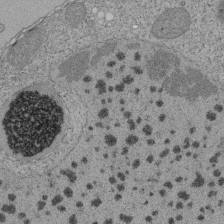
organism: Tetrahymena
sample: Cilia in tetrahymena